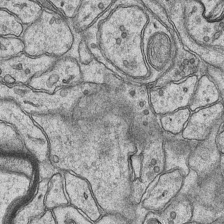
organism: Mouse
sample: CA1 Hippocampus